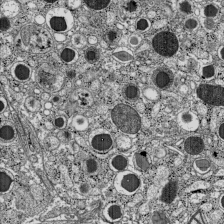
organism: C57BL Mouse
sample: Pancreatic islet